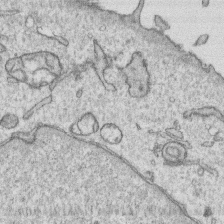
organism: Human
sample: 1205lu cells